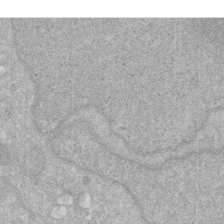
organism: Human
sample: HIV infected U937 cells